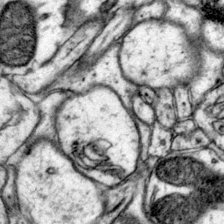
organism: Mouse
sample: Primary visual cortex